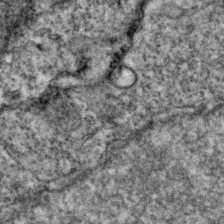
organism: Zebrafish